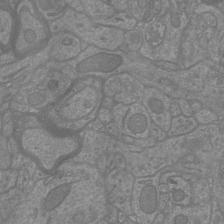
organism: Mouse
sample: Cortical neurons